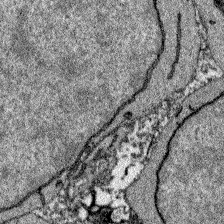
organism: Zebrafish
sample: Larval olfactory bulb